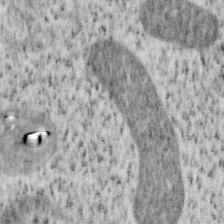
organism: Mouse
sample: OT-I killer T cells with ID8 ovarian cancer cells